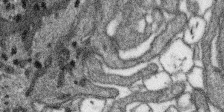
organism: Human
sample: Lung epithelial cells infected with SARS-CoV-2